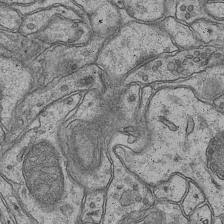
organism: Mouse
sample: CA1 Hippocampus